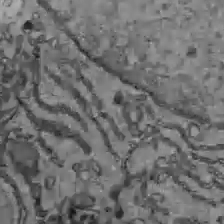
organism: C57BL Mouse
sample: Liver